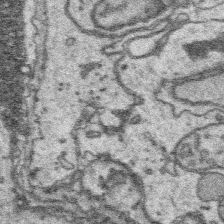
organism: Platynereis dumerilii